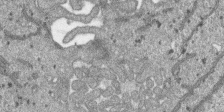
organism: Human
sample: Lung epithelial cells infected with SARS-CoV-2